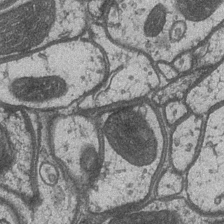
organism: Drosophila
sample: Optic medulla